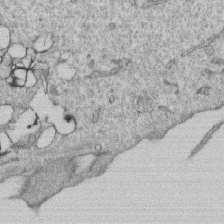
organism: Human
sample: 1205lu cells